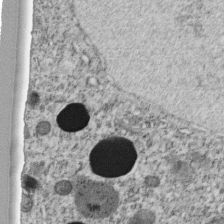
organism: C. elegans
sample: C. elegans embryo early stage